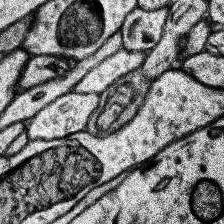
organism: Human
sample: Temporal Lobe